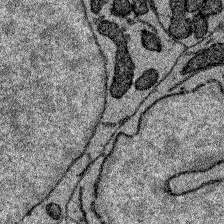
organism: Zebrafish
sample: Larval olfactory bulb